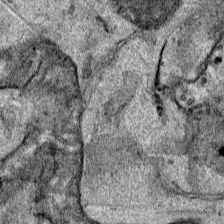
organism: Human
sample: Mitochondria in HCT116 cells